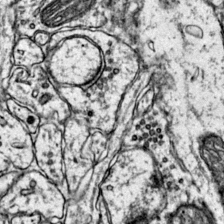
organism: Mouse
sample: Primary visual cortex